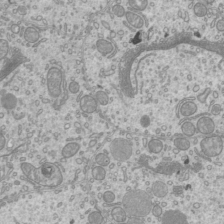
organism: Mouse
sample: Cilia; mouse epididymis